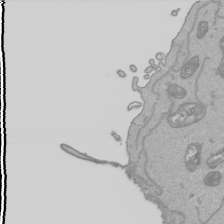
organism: Human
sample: Mitochondria in HCT116 cells